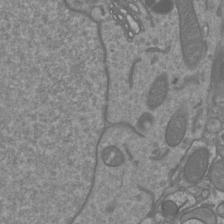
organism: Mouse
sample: Cortical neurons